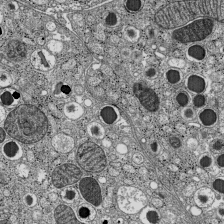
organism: C57BL Mouse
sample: Pancreatic islet